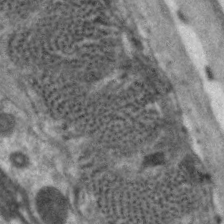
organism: C. elegans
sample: Pharynx